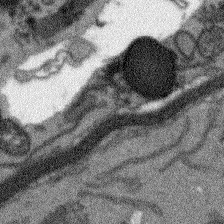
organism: Arabidopsis thaliana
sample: Root tip